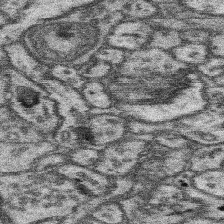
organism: Mouse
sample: Somatosensory cortex neuropil